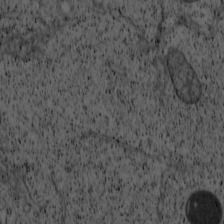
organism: African green monkey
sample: COS-7 cells